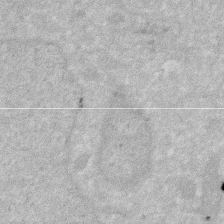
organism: Human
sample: HIV infected U937 cells